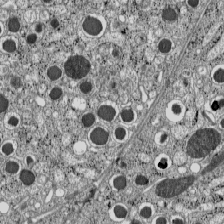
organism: C57BL Mouse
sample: Pancreatic islet